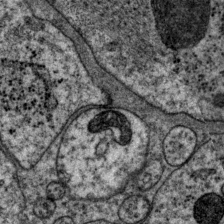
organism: P. pacificus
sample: Pharynx